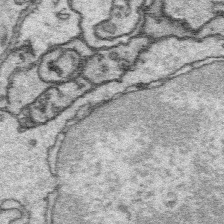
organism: Platynereis dumerilii